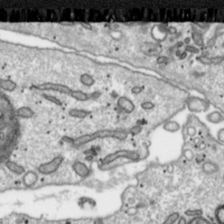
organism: Toxoplasma gondii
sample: Parasites in a vacuole inside a host cell